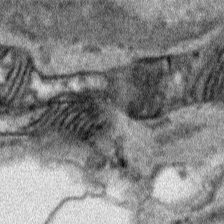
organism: Human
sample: Mitochondria in HCT116 cells